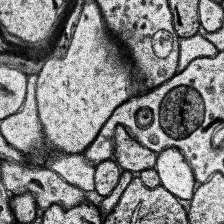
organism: Human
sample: Temporal Lobe